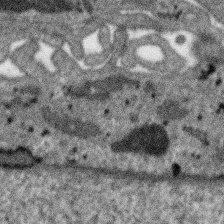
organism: Human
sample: Lung epithelial cells infected with SARS-CoV-2